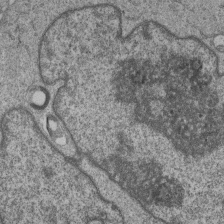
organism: Human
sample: MDA-MB-231 cells